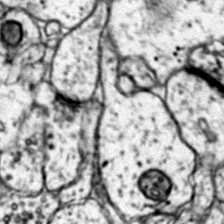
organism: Mouse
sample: Primary visual cortex